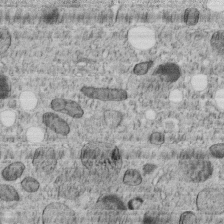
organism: C. elegans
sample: C. elegans embryo early stage